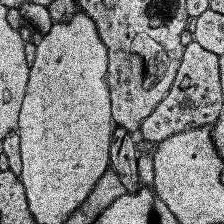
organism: Human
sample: Temporal Lobe